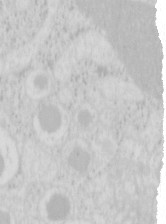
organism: Mouse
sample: Pancreas